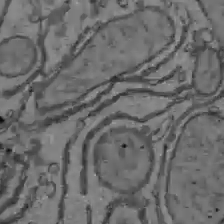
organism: C57BL Mouse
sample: Liver